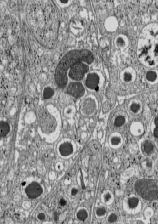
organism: C57BL Mouse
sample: Pancreatic islet